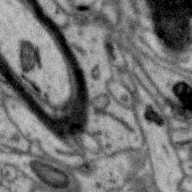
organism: Zebra finch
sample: Brain